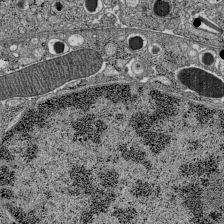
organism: C57BL Mouse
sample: Pancreatic islet